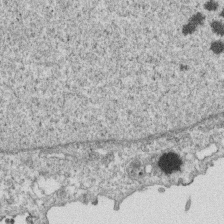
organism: Human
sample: HeLa cell HIV synapse